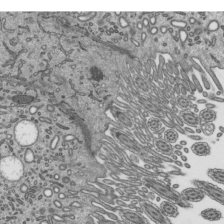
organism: Mouse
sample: Mouse epididymis efferent ductule cilia